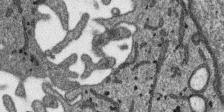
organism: Human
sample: Lung epithelial cells infected with SARS-CoV-2